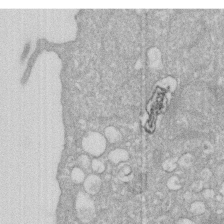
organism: Human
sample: HIV infected U937 cells